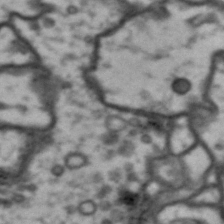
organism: Drosophila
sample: Brain